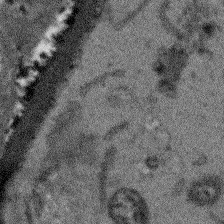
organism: Arabidopsis thaliana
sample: Root tip